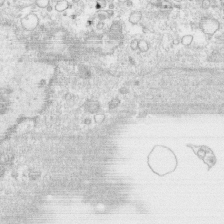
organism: Human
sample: CRL-1474